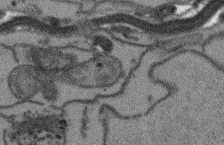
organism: Arabidopsis thaliana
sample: Root tip